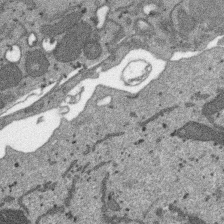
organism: Human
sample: Lung epithelial cells infected with SARS-CoV-2